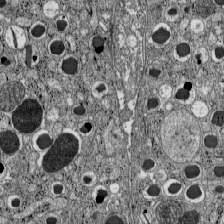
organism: C57BL Mouse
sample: Pancreatic islet